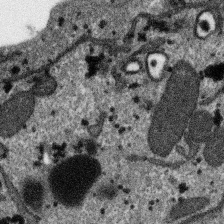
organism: Human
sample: Lung epithelial cells infected with SARS-CoV-2